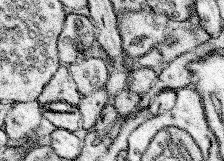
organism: Mouse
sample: Somatosensory cortex neuropil